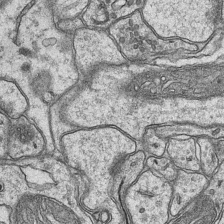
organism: Mouse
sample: CA1 Hippocampus